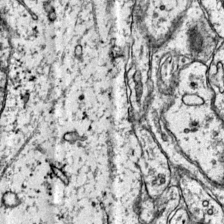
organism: Mouse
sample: Primary visual cortex